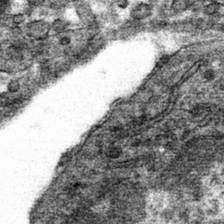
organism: Mouse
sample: Mouse hepatocytes